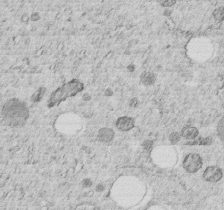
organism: C. elegans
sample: C. elegans embryo early stage